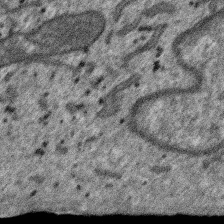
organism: Human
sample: Lung epithelial cells infected with SARS-CoV-2